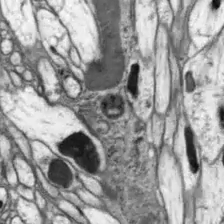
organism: Drosophila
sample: Optic lobe